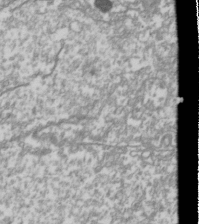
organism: Drosophila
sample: Cell division; meiosis; drosophila spermatocytes